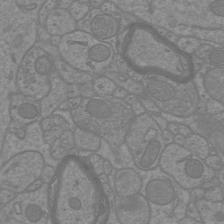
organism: Mouse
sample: Cortical neurons